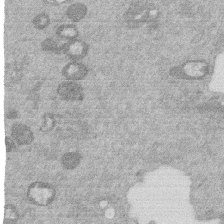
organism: Mouse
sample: Dividing mouse embryo 1 cell stage